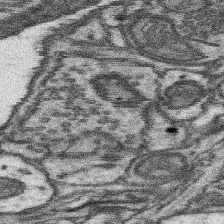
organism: Mouse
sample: Somatosensory cortex neuropil